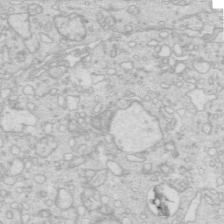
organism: Mouse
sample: Multiciliated cells